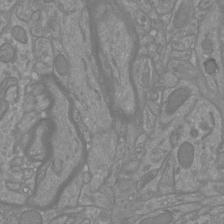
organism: Mouse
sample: Cortical neurons